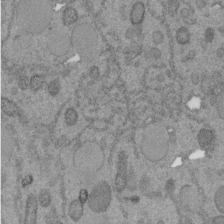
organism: C. elegans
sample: C. elegans embryo early stage